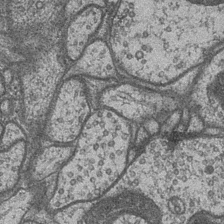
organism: Drosophila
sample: Optic medulla